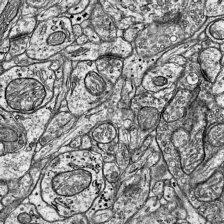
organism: Mouse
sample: Visual Cortex